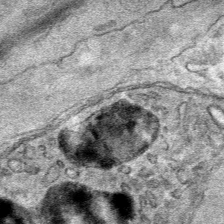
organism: Mouse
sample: Mouse Salivary gland